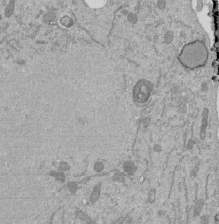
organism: Mouse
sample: ED-1 cell nuclei; centrioles